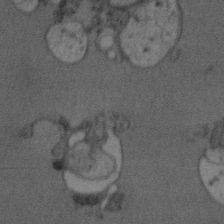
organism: Human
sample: HeLa cells